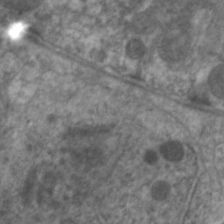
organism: C. elegans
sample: Pharynx